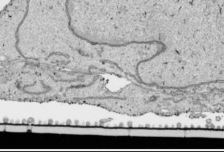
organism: Human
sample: Mitochondria in HCT116 cells